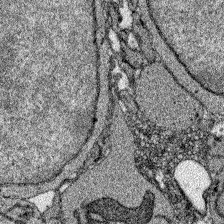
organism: Zebrafish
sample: Larval olfactory bulb